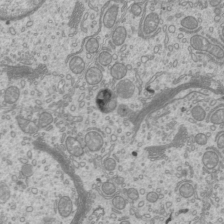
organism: Mouse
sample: Cilia; mouse epididymis